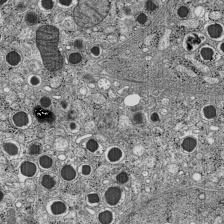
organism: C57BL Mouse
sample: Pancreatic islet